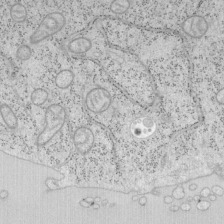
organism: Mouse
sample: OT-I killer T cells with ID8 ovarian cancer cells